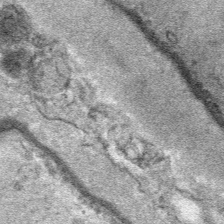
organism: Mouse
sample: Mouse Salivary gland